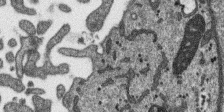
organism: Human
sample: Lung epithelial cells infected with SARS-CoV-2